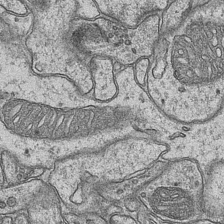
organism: Mouse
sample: CA1 Hippocampus